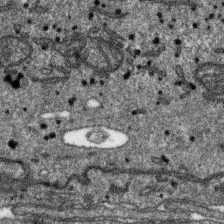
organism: Human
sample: Lung epithelial cells infected with SARS-CoV-2